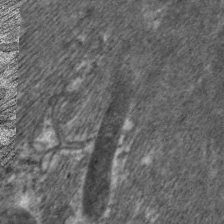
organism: C. elegans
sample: Pharynx